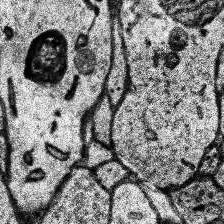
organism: Human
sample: Temporal Lobe